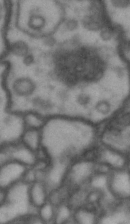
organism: Drosophila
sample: Brain